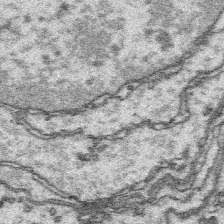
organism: Platynereis dumerilii